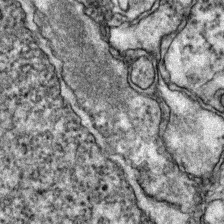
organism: Zebrafish